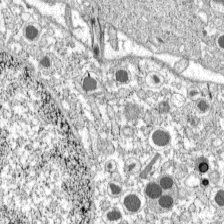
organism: C57BL Mouse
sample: Pancreatic islet